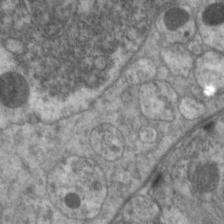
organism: C. elegans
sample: Pharynx